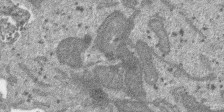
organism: Human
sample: Lung epithelial cells infected with SARS-CoV-2